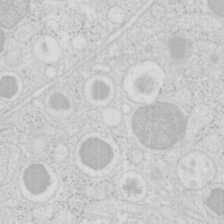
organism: Mouse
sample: Pancreas